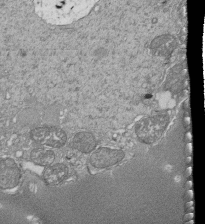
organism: Tetrahymena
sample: Cilia in tetrahymena